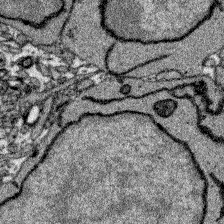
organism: Zebrafish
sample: Larval olfactory bulb